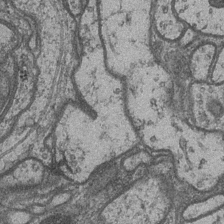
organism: Drosophila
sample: Optic medulla